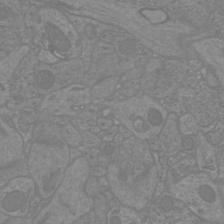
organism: Mouse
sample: Cortical neurons